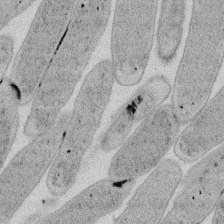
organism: E. coli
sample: Bacterial nucleoid